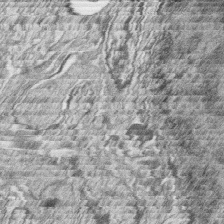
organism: Zebrafish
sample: synaptic ribbons in rod cells and cone cells